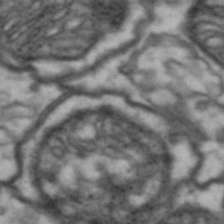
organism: Drosophila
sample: Brain